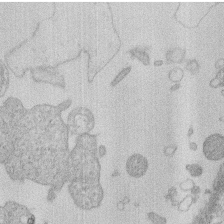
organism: Human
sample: Macrophage cells